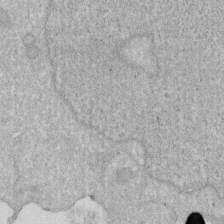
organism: Human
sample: HIV infected U937 cells